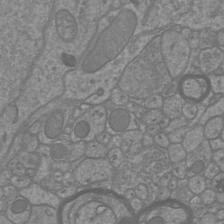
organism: Mouse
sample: Cortical neurons